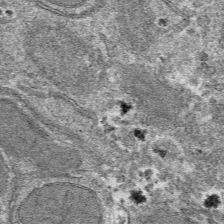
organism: Mouse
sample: Mouse hepatocytes